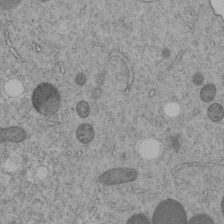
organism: C. elegans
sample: C. elegans embryo early stage